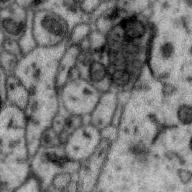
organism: Zebra finch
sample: Brain